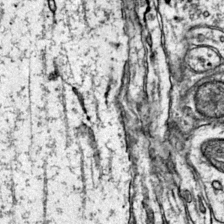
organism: Mouse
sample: Primary visual cortex